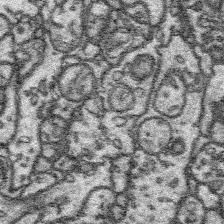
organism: Platynereis dumerilii